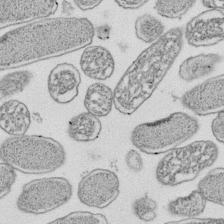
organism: E. coli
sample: Bacterial nucleoid